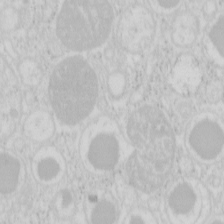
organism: Mouse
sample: Pancreas